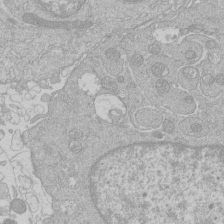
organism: Human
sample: Macrophage cells